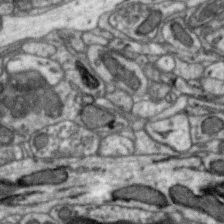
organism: Zebra finch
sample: Brain